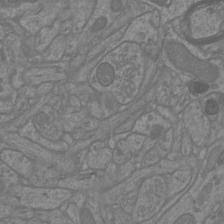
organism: Mouse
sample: Cortical neurons